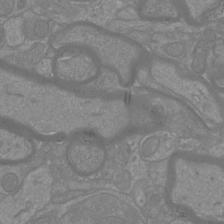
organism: Mouse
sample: Cortical neurons